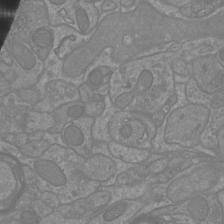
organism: Mouse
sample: Cortical neurons